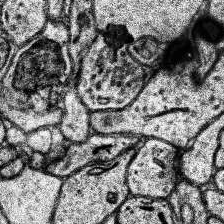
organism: Human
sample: Temporal Lobe